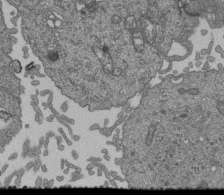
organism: Human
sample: Retinal organoid Rod and Cone cells